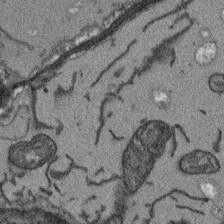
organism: Arabidopsis thaliana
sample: Root tip